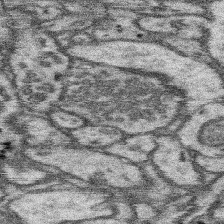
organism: Mouse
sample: Somatosensory cortex neuropil